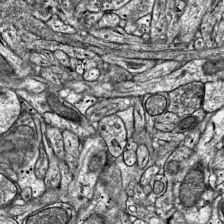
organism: Mouse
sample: Visual Cortex